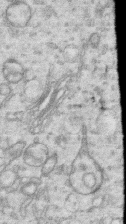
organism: Human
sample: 1205lu cells